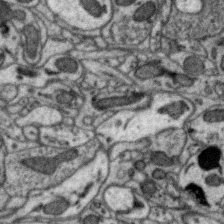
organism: Zebra finch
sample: Brain